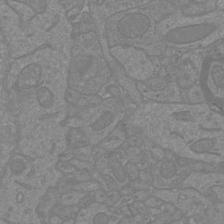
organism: Mouse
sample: Cortical neurons